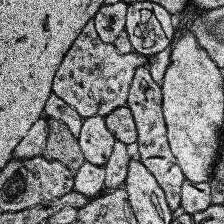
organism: Human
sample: Temporal Lobe